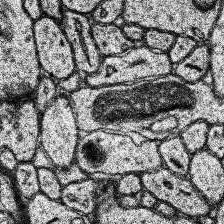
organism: Human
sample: Temporal Lobe